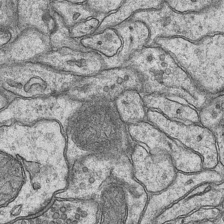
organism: Mouse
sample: CA1 Hippocampus